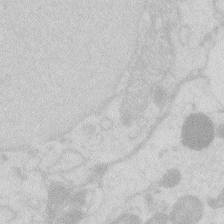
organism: Zebrafish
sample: Macrophage